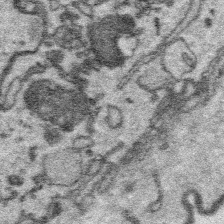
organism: Platynereis dumerilii